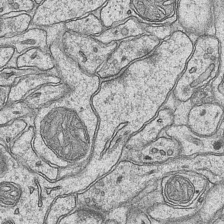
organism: Mouse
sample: CA1 Hippocampus